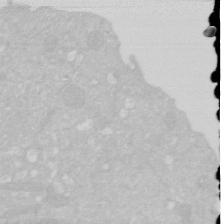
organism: Human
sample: HIV infected U937 cells